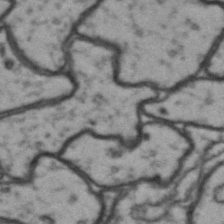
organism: Drosophila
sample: Brain